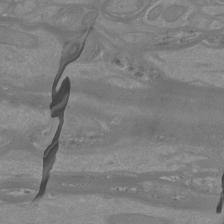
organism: Mouse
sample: Cortical neurons